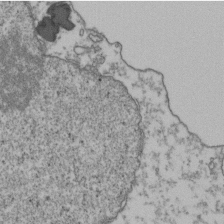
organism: Human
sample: Activated Jurkat CD4+ T cells